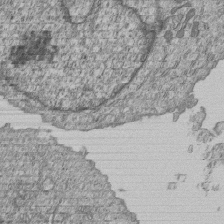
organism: Human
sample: MDA-MB-231 cells